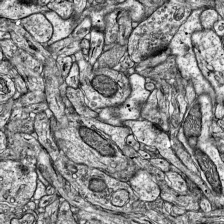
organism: Mouse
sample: Visual Cortex